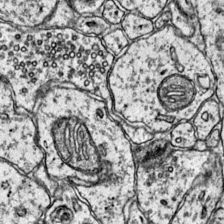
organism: Mouse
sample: Primary visual cortex